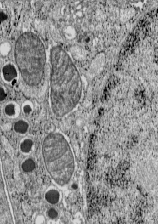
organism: C57BL Mouse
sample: Pancreatic islet